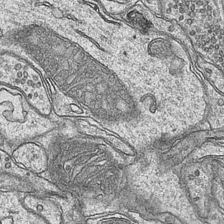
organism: Mouse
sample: CA1 Hippocampus